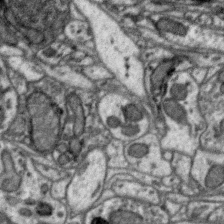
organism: Zebra finch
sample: Brain